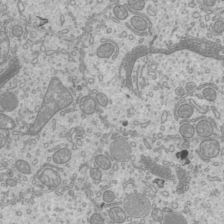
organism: Mouse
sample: Cilia; mouse epididymis